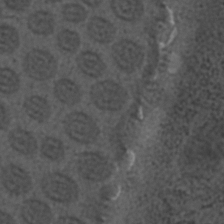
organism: C. elegans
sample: C. elegans embryo